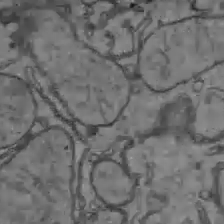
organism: C57BL Mouse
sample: Liver